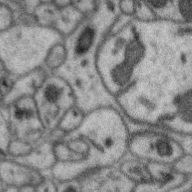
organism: Zebra finch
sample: Brain